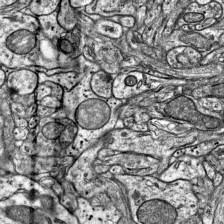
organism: Mouse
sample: Visual Cortex